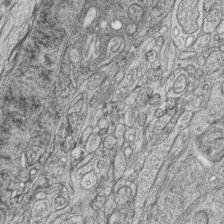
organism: Zebrafish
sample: synaptic ribbons in rod cells and cone cells